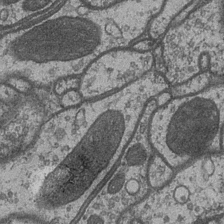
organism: Drosophila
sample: Optic medulla